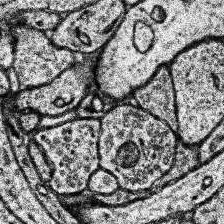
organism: Human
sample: Temporal Lobe